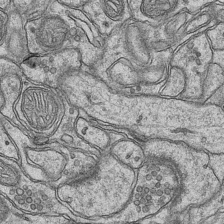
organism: Mouse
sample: CA1 Hippocampus